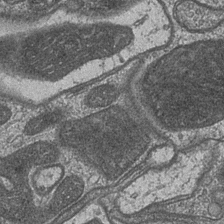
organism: Drosophila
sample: Optic medulla